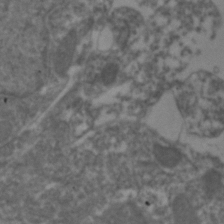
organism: Zebrafish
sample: Zebrafish embryo